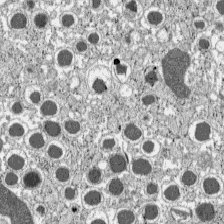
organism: C57BL Mouse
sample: Pancreatic islet